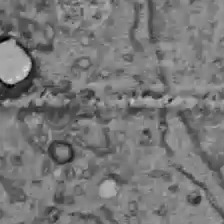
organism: C57BL Mouse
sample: Liver